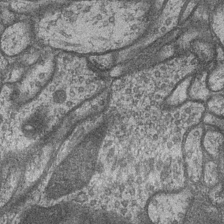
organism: Drosophila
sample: Optic medulla